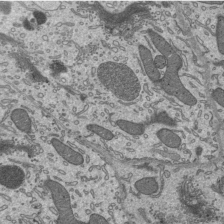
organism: Mouse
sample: Mouse epididymis efferent ductule cilia